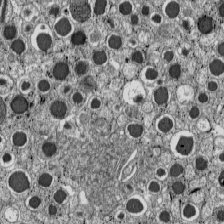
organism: C57BL Mouse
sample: Pancreatic islet